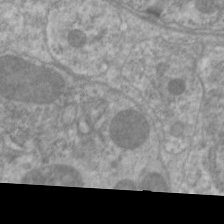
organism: C. elegans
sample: Pharynx